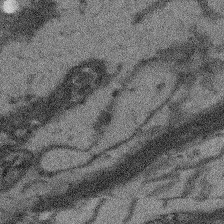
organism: Arabidopsis thaliana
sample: Root tip